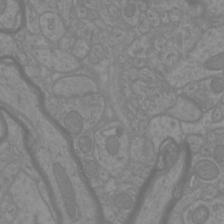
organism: Mouse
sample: Cortical neurons